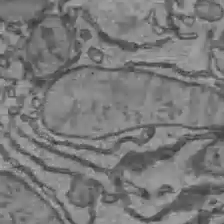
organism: C57BL Mouse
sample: Liver